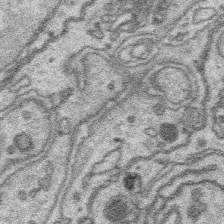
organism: Platynereis dumerilii